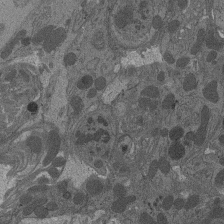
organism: Drosophila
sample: Antenna